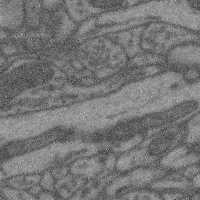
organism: Mouse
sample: Cerebral cortex